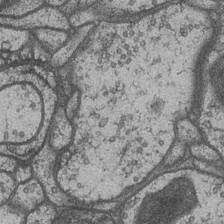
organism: Drosophila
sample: Optic medulla